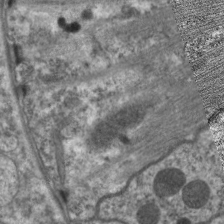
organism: C. elegans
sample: Pharynx